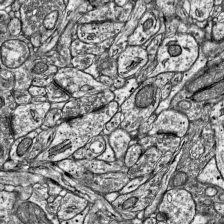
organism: Mouse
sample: Visual Cortex